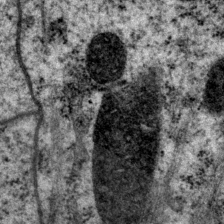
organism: P. pacificus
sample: Pharynx